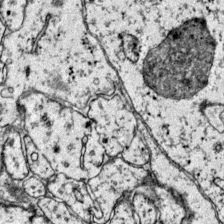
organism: Mouse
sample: Primary visual cortex